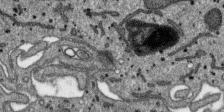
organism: Human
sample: Lung epithelial cells, uninfected (mock) control